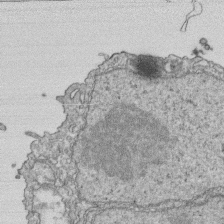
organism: Human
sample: HeLa cell HIV synapse